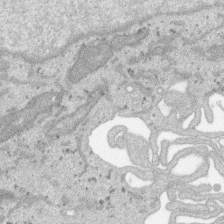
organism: Human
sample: Lung epithelial cells infected with SARS-CoV-2